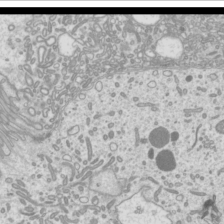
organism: Mouse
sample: Cilia; mouse epididymis